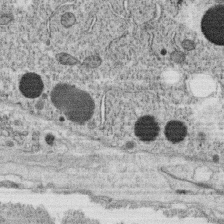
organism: C. elegans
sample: C. elegans oocyte; sperm cells